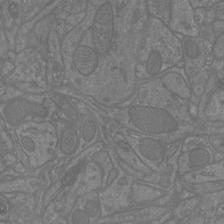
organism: Mouse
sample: Cortical neurons